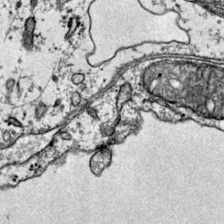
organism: Mouse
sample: Primary visual cortex